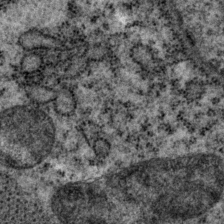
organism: P. pacificus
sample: Pharynx